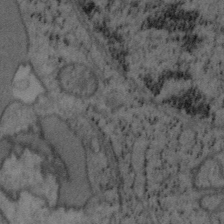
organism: Human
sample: HeLa cells